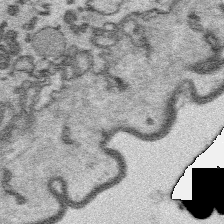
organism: Platynereis dumerilii